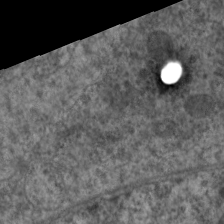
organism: C. elegans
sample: Pharynx